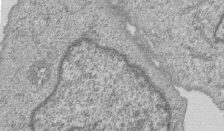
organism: Human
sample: MDA-MB-231 cells